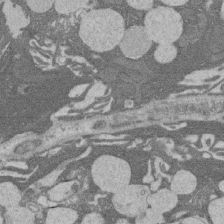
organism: Rat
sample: Salivary granule